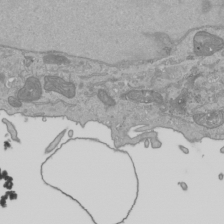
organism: Human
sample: Mitochondria in HCT116 cells